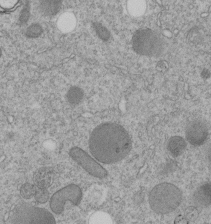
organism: C. elegans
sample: C. elegans embryo early stage